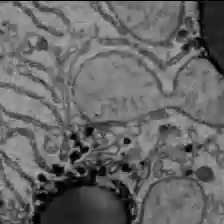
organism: C57BL Mouse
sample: Liver